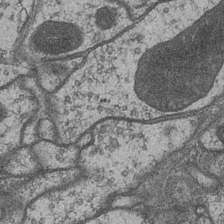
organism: Drosophila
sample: Optic medulla